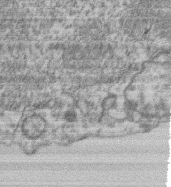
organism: Mouse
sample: T cell stromal cell synapse